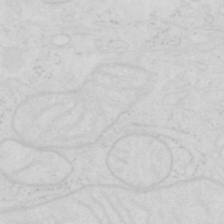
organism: Human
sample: SUM-159 cell